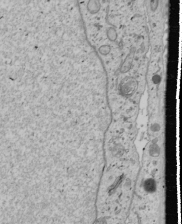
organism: Human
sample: Mitochondria in U2OS cells